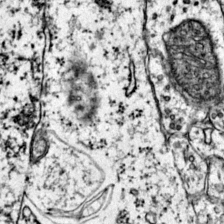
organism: Mouse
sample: Primary visual cortex